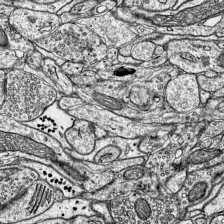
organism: Mouse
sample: Visual Cortex